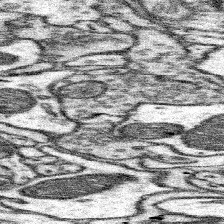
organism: Mouse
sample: Somatosensory cortex neuropil